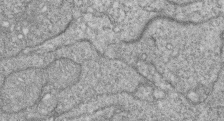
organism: Zebrafish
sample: Cilia; retinal pigment epithelium